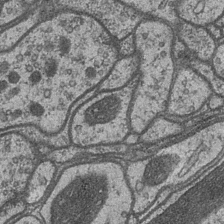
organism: Drosophila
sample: Optic medulla